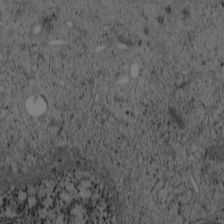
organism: African green monkey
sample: COS-7 cells